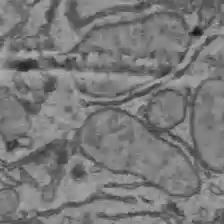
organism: C57BL Mouse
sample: Liver